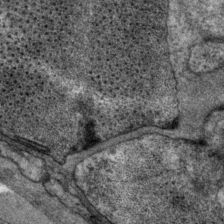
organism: P. pacificus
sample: Pharynx